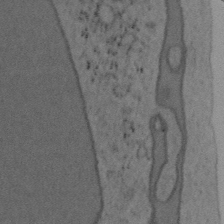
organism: Human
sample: HeLa cells